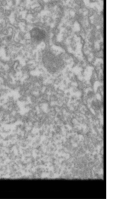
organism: Drosophila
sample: Cell division; meiosis; drosophila spermatocytes